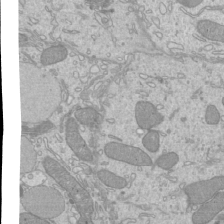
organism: Mouse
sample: Cilia; mouse epididymis